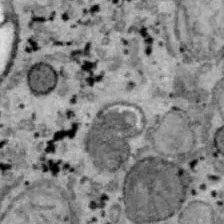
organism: Mouse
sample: Liver from an obese (ob/ob) mouse